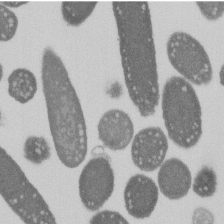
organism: E. coli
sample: Bacterial nucleoid